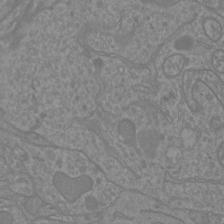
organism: Mouse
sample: Cortical neurons